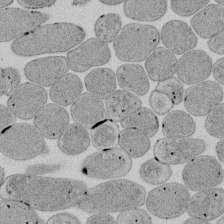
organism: E. coli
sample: Bacterial nucleoid